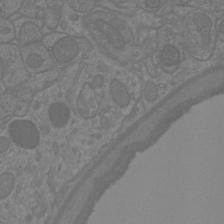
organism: Mouse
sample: Cortical neurons